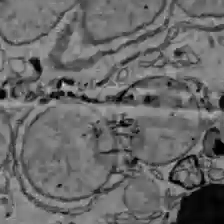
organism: C57BL Mouse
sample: Liver